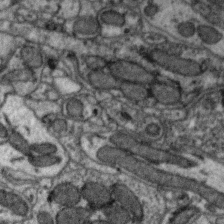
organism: Zebra finch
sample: Brain